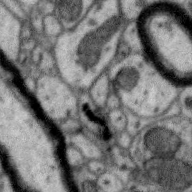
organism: Zebra finch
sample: Brain